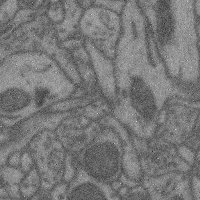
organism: Mouse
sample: Cerebral cortex